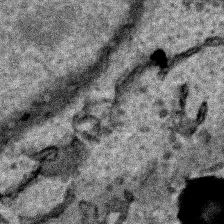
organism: Human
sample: Mitochondria in HCT116 cells